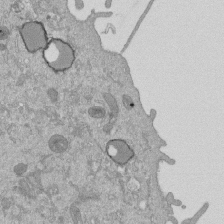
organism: Mouse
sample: ED-1 cell nuclei; centrioles